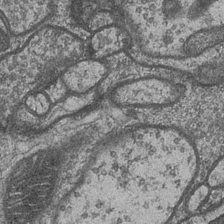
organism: Drosophila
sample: Optic medulla